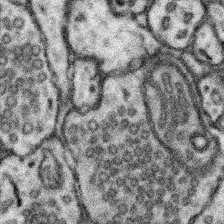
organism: Mouse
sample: Somatosensory cortex neuropil